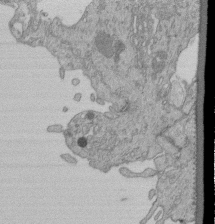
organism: Human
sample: Retinal organoid Rod and Cone cells